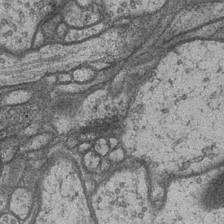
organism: Drosophila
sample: Optic medulla